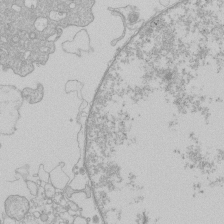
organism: Human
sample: Macrophage cells